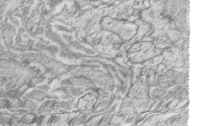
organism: Zebrafish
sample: synaptic ribbons in rod cells and cone cells